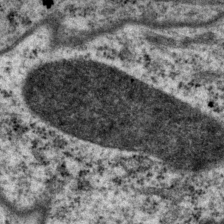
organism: P. pacificus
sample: Pharynx